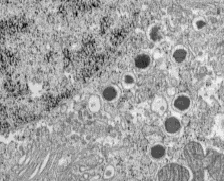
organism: C57BL Mouse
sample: Pancreatic islet